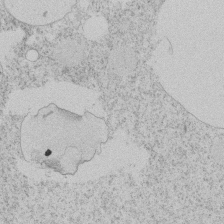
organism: Tetrahymena